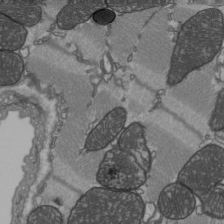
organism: C57BL Mouse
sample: Heart